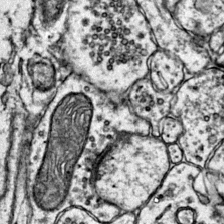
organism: Mouse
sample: Primary visual cortex